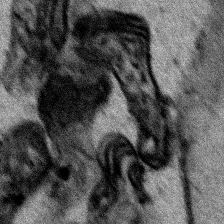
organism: Human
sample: Mitochondria in HCT116 cells